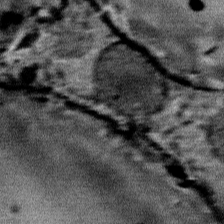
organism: Mouse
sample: Mouse Salivary gland